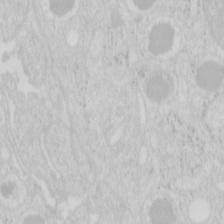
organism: Mouse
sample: Pancreas